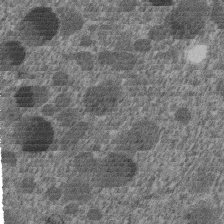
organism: C. elegans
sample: C. elegans embryo early stage